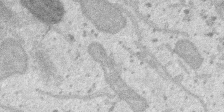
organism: Human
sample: Lung epithelial cells infected with SARS-CoV-2